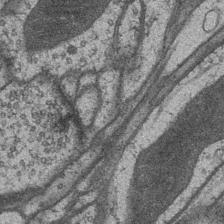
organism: Drosophila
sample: Optic medulla